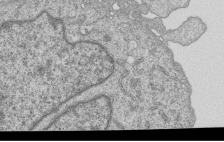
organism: Human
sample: MDA-MB-231 cells